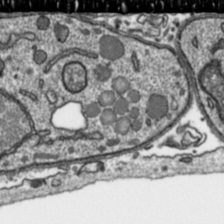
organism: Toxoplasma gondii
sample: Parasites in a vacuole inside a host cell